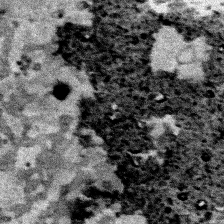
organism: Human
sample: Mitochondria in HCT116 cells